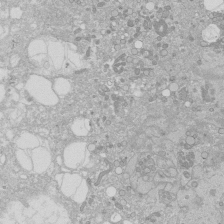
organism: Human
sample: Caco-2 cells